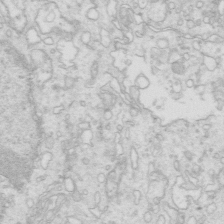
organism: Mouse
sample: Multiciliated cells